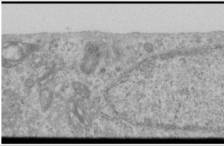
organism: Human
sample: Cilia; basal body in RPE cells